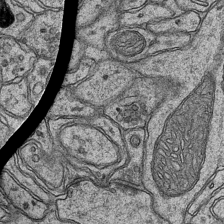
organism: Mouse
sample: CA1 Hippocampus